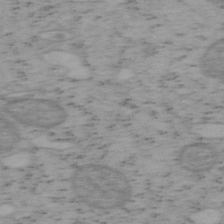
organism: Mouse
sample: OT-I killer T cells with ID8 ovarian cancer cells